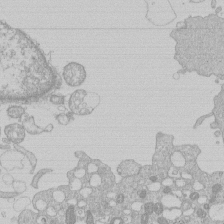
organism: Human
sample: Macrophage cells